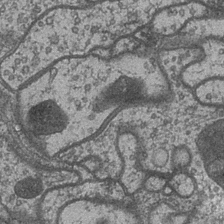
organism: Drosophila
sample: Optic medulla